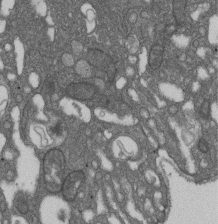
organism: Drosophila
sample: Nephrocyte